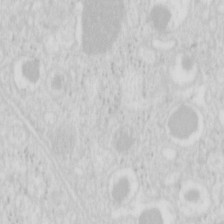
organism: Mouse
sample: Pancreas